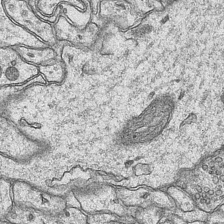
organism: Mouse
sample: CA1 Hippocampus